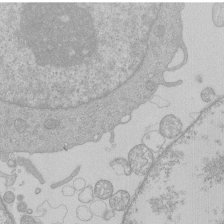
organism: Human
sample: Macrophage cells